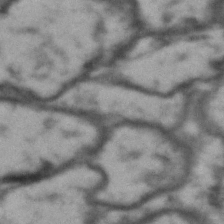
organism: Drosophila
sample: Brain